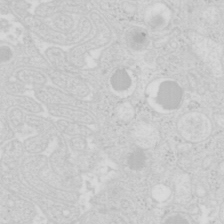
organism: Mouse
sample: Pancreas